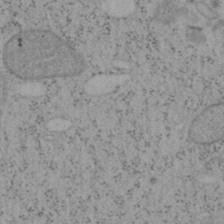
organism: Mouse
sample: OT-I killer T cells with ID8 ovarian cancer cells